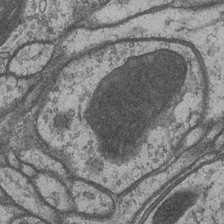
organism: Drosophila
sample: Optic medulla